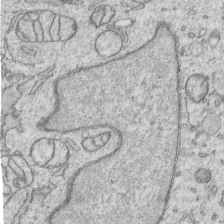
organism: Human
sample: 1205lu cells